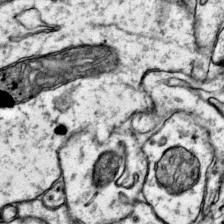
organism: Mouse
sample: Primary visual cortex